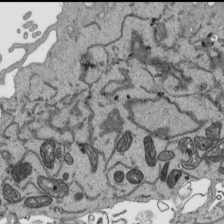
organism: Human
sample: Mitochondria in HCT116 cells